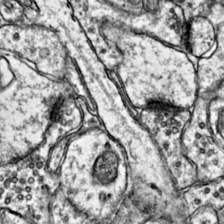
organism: Mouse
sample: Primary visual cortex